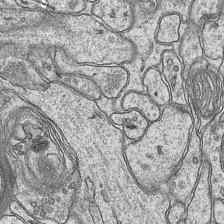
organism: Mouse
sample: CA1 Hippocampus